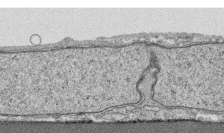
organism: Human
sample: CRL-1474